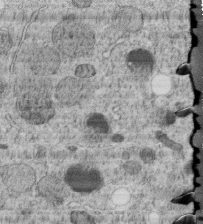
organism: C. elegans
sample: C. elegans embryo early stage